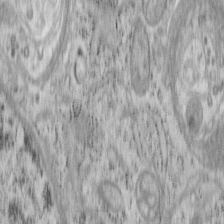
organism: Human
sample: HeLa cells